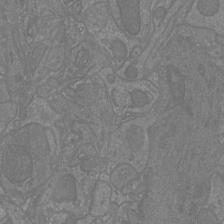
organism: Mouse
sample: Cortical neurons